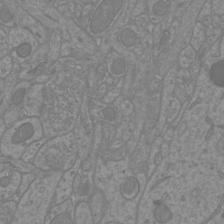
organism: Mouse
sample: Cortical neurons